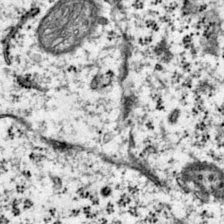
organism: Mouse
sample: Primary visual cortex